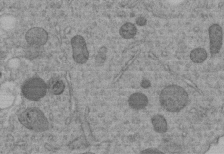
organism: C. elegans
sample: C. elegans embryo early stage